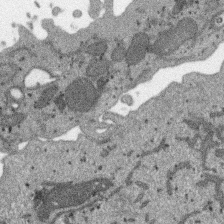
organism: Human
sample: Lung epithelial cells infected with SARS-CoV-2